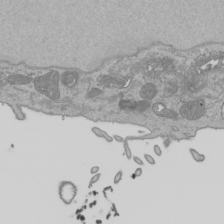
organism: Human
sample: Mitochondria in HCT116 cells